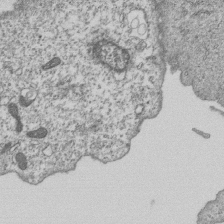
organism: Human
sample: MDA-MB-231 cells